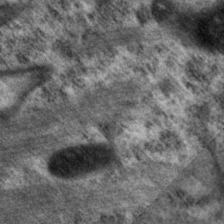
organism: P. pacificus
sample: Pharynx